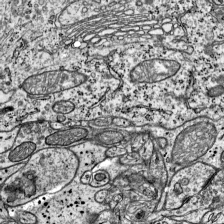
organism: Mouse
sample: Visual Cortex